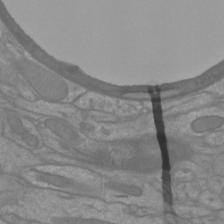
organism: Mouse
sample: Cortical neurons